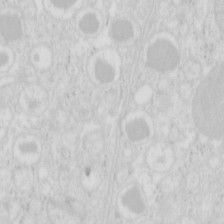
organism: Mouse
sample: Pancreas